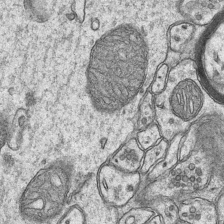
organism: Mouse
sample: CA1 Hippocampus